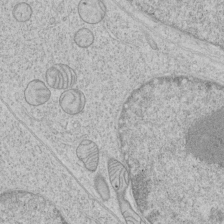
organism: Human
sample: Mitochondria in HCT116 cells